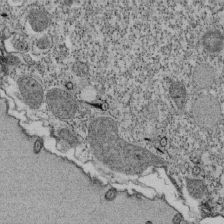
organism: Tetrahymena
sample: Cilia in tetrahymena